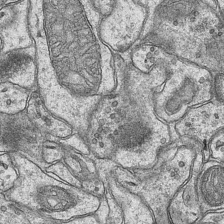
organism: Mouse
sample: CA1 Hippocampus